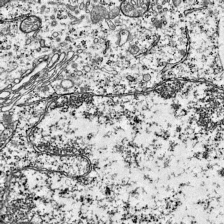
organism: Mouse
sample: Visual Cortex